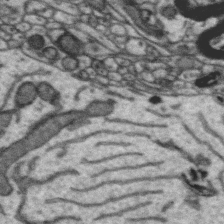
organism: Zebra finch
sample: Brain